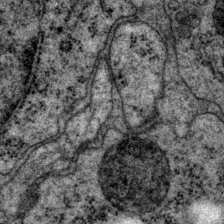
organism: P. pacificus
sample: Pharynx